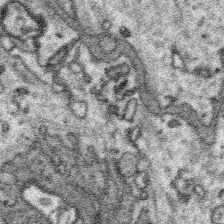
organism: Platynereis dumerilii